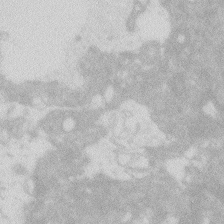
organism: Zebrafish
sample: Macrophage